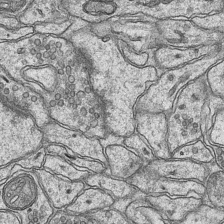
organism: Mouse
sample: CA1 Hippocampus